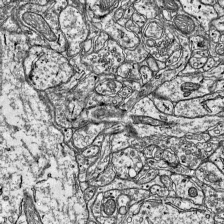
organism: Mouse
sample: Visual Cortex